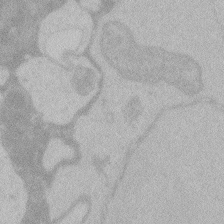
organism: Zebrafish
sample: Macrophage infected with Toxoplasma gondii